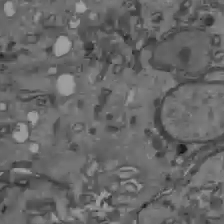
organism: C57BL Mouse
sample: Liver